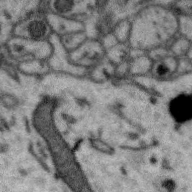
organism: Zebra finch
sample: Brain